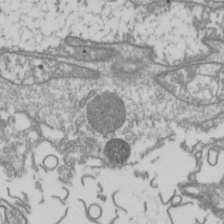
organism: Drosophila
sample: Cell division; meiosis; drosophila spermatocytes